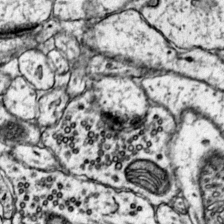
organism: Mouse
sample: Primary visual cortex